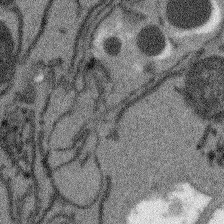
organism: Arabidopsis thaliana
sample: Root tip